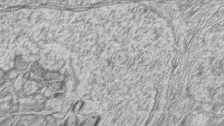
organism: Zebrafish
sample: synaptic ribbons in rod cells and cone cells